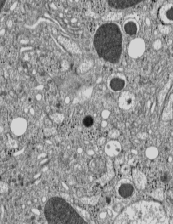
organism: C57BL Mouse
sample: Pancreatic islet